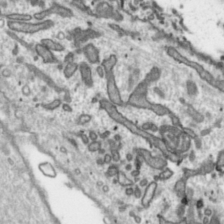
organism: Toxoplasma gondii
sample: Parasites in a vacuole inside a host cell